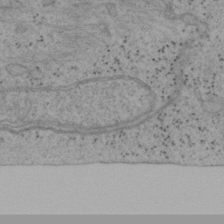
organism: Human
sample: HeLa cells